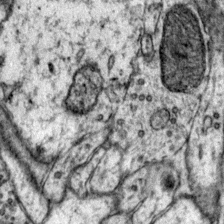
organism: Mouse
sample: Primary visual cortex